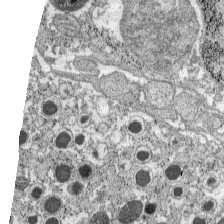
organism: C57BL Mouse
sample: Pancreatic islet